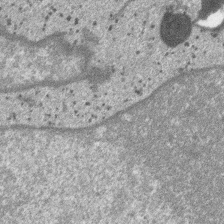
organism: Human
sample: Lung epithelial cells infected with SARS-CoV-2